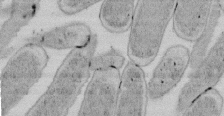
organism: E. coli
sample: Bacterial nucleoid